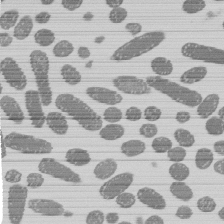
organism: E. coli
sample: Bacterial nucleoid